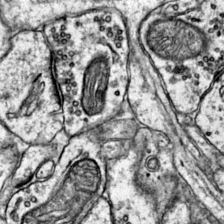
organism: Mouse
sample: Primary visual cortex